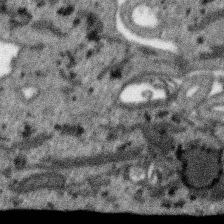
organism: Human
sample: Lung epithelial cells infected with SARS-CoV-2